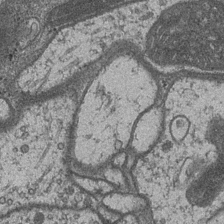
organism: Drosophila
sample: Optic medulla